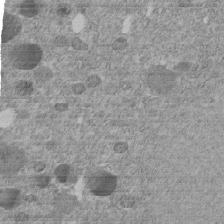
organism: C. elegans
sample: C. elegans embryo early stage